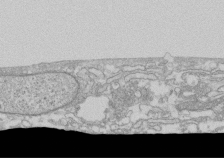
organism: Human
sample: CRL-1474